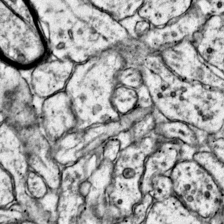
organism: Mouse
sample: Primary visual cortex